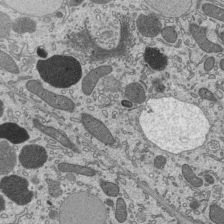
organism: Mouse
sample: Mouse epididymis efferent ductule cilia